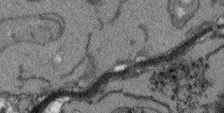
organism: Arabidopsis thaliana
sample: Root tip